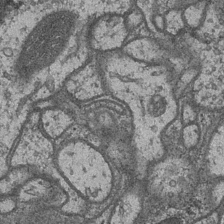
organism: Drosophila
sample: Optic medulla